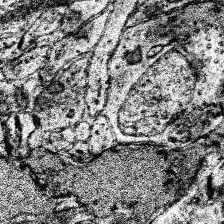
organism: Human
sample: Temporal Lobe